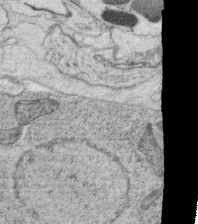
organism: C. elegans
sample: C. elegans oocyte; sperm cells